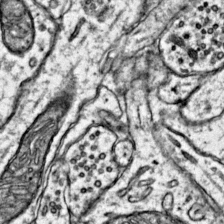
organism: Mouse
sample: Primary visual cortex